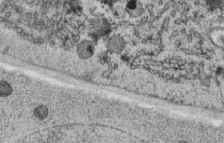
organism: C. elegans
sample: C. elegans oocyte; sperm cells